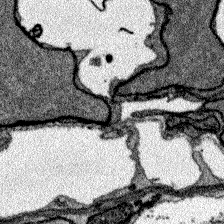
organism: Zebrafish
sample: Larval olfactory bulb